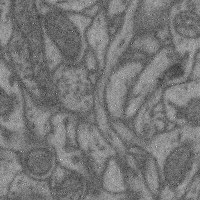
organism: Mouse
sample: Cerebral cortex